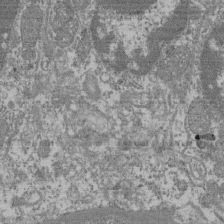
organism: Mouse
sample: Glomerulus